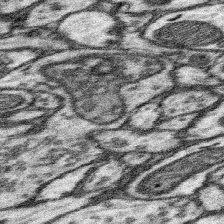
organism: Mouse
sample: Somatosensory cortex neuropil